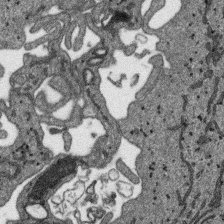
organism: Human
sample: Lung epithelial cells infected with SARS-CoV-2